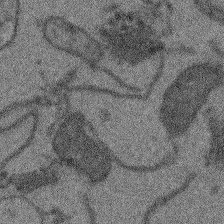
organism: Arabidopsis thaliana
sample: Root tip